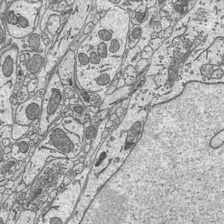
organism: Mouse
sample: Suprachiasmatic nucleus